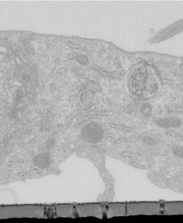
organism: Human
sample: Centriole in RPE cells